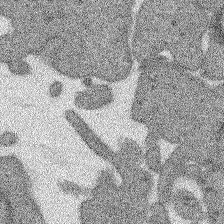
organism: Human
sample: HeLa cells